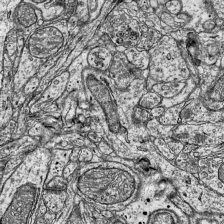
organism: Mouse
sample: Visual Cortex